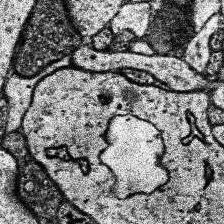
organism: Human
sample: Temporal Lobe